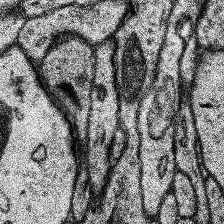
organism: Human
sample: Temporal Lobe